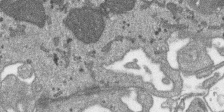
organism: Human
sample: Lung epithelial cells infected with SARS-CoV-2